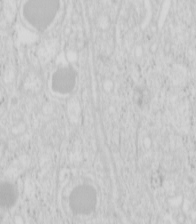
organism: Mouse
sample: Pancreas